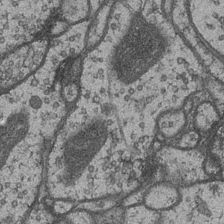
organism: Drosophila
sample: Optic medulla